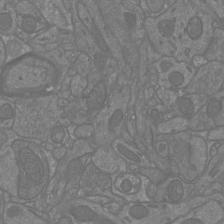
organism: Mouse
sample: Cortical neurons